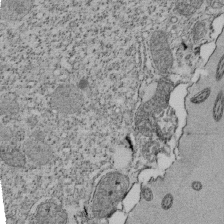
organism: Tetrahymena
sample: Cilia in tetrahymena